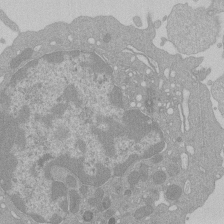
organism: Mouse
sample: Activated Pmel transgenic CD8+ T Cells